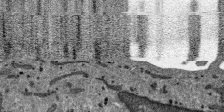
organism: Human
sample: Lung epithelial cells, uninfected (mock) control